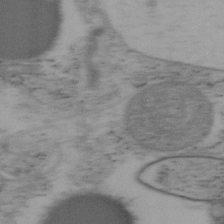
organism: Mouse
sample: OT-I killer T cells with ID8 ovarian cancer cells